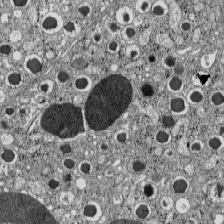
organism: C57BL Mouse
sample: Pancreatic islet